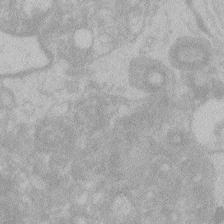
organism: Zebrafish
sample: Macrophage infected with Toxoplasma gondii